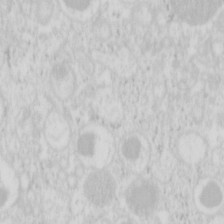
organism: Mouse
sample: Pancreas